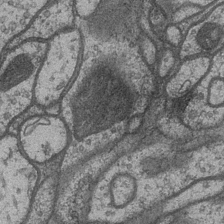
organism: Drosophila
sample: Optic medulla